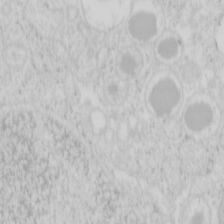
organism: Mouse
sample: Pancreas